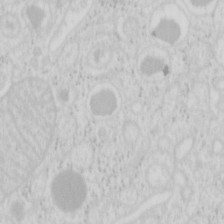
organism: Mouse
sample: Pancreas